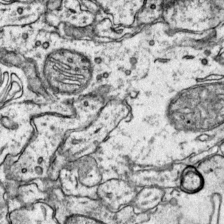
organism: Mouse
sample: Primary visual cortex